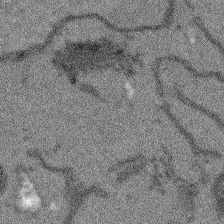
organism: Arabidopsis thaliana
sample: Root tip